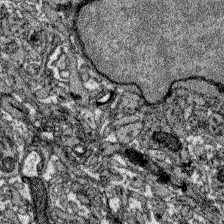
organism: Zebrafish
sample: Larval olfactory bulb